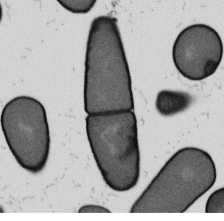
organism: B. subtilis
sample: Bacterial spore